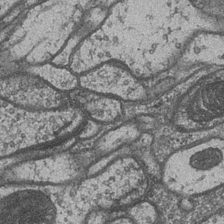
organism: Drosophila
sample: Optic medulla